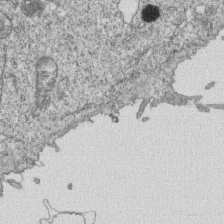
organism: Human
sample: HeLa cell HIV synapse